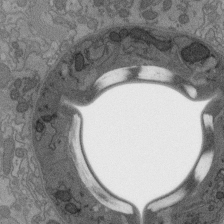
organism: C. elegans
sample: AFD neurons C. elegans